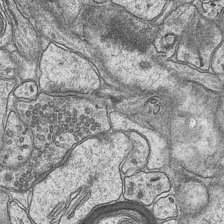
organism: Mouse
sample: CA1 Hippocampus